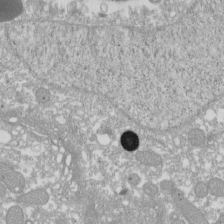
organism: Xenopus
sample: Cilia; centrioles in frog embryo cells